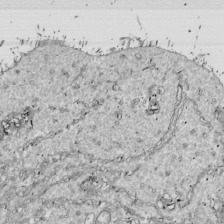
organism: Drosophila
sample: Cell division; meiosis; drosophila spermatocytes